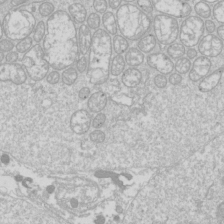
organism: Drosophila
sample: Cell division; meiosis; drosophila spermatocytes